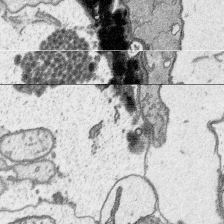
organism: Platynereis dumerilii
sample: Parapodia